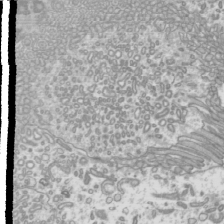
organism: Mouse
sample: Cilia; mouse epididymis